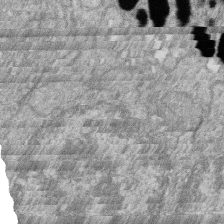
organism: Zebrafish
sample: Cilia; retinal pigment epithelium